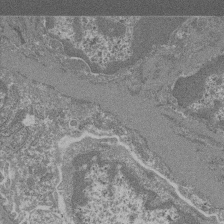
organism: Mouse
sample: Glomerulus